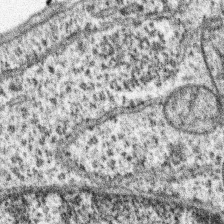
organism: Human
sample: HeLa cells